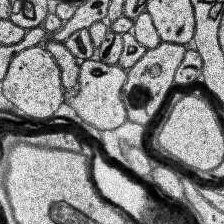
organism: Human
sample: Temporal Lobe